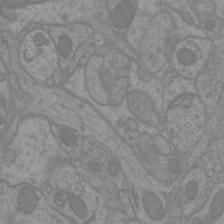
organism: Mouse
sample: Cortical neurons